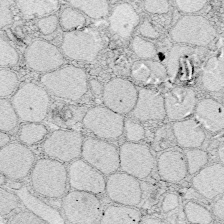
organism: Zebrafish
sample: Whole-Brain